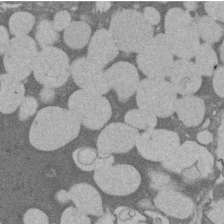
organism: Rat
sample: Salivary granule